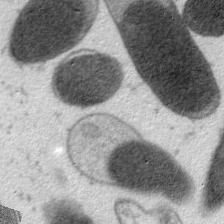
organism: C. elegans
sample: Pharynx